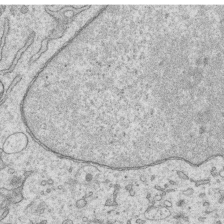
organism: Human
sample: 1205lu cells